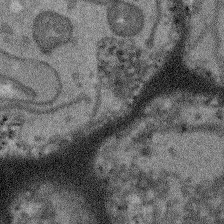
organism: Arabidopsis thaliana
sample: Root tip